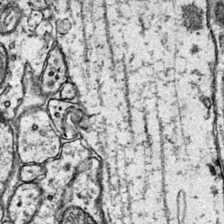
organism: Mouse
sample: Primary visual cortex